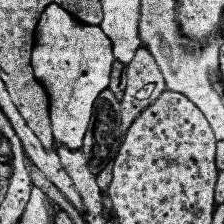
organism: Human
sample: Temporal Lobe